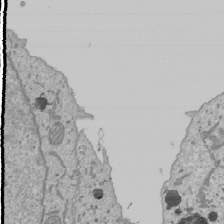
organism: Human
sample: Mitochondria in U2OS cells